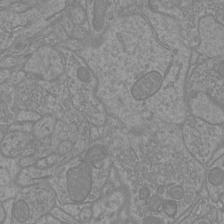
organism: Mouse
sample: Cortical neurons